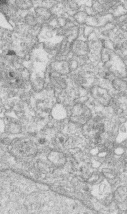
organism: Human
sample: HeLa cell HIV synapse